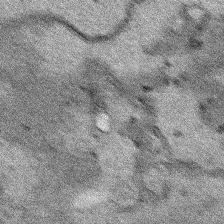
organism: Human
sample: Mitochondria in HCT116 cells